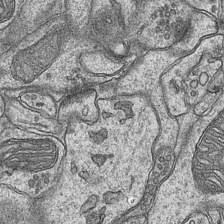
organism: Mouse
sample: CA1 Hippocampus